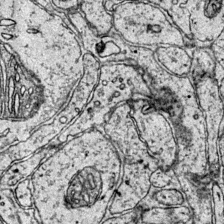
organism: Mouse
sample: Primary visual cortex